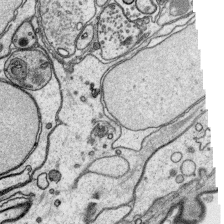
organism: Platynereis dumerilii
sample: Parapodia